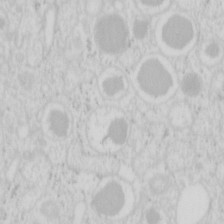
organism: Mouse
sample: Pancreas